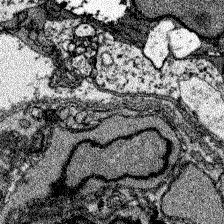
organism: Zebrafish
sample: Larval olfactory bulb